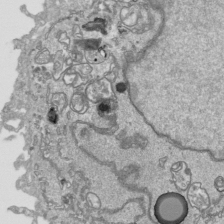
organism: Human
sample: Mitochondria in HCT116 cells